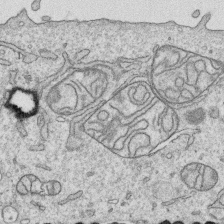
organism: Human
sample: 1205lu cells